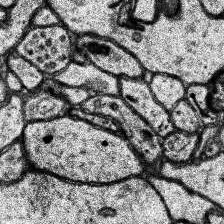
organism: Human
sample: Temporal Lobe